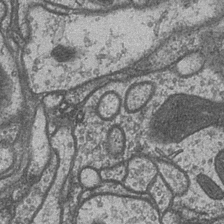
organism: Drosophila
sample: Optic medulla